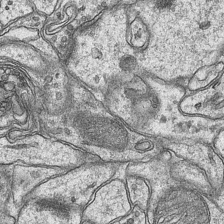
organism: Mouse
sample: CA1 Hippocampus